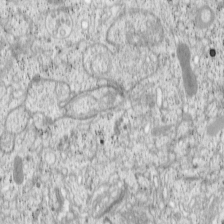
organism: African green monkey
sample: COS-7 cells